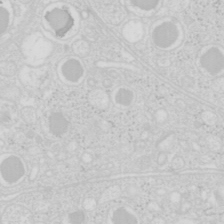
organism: Mouse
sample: Pancreas